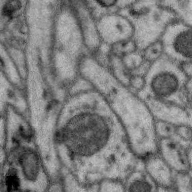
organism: Zebra finch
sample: Brain